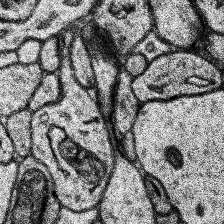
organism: Human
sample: Temporal Lobe